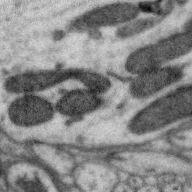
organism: Zebra finch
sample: Brain